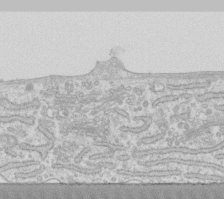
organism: Human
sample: Fibroblast cells